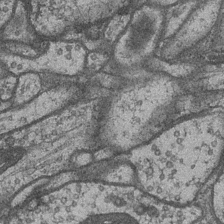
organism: Drosophila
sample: Optic medulla